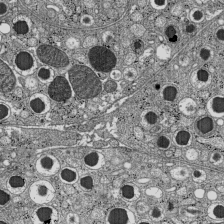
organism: C57BL Mouse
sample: Pancreatic islet